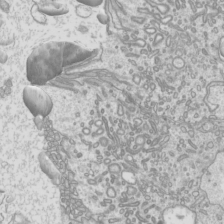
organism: Mouse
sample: Cilia; mouse epididymis